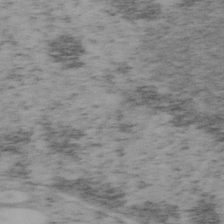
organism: Mouse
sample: OT-I killer T cells with ID8 ovarian cancer cells